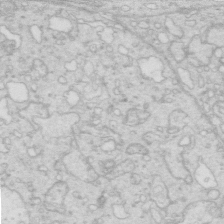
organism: Mouse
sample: Multiciliated cells